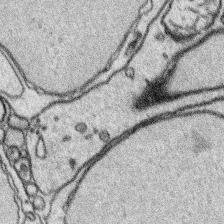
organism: Platynereis dumerilii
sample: Parapodia